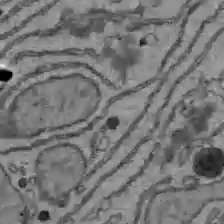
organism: C57BL Mouse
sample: Liver